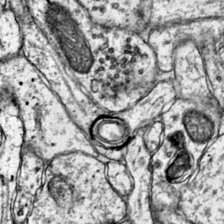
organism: Mouse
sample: Primary visual cortex